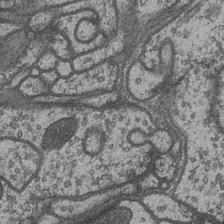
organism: Drosophila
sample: Optic medulla